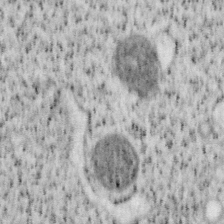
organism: Mouse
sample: OT-I killer T cells with ID8 ovarian cancer cells